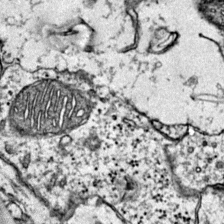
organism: Mouse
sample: Primary visual cortex